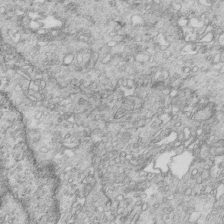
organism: Mouse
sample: Multiciliated cells